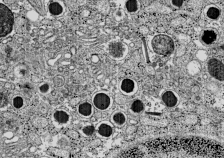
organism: C57BL Mouse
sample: Pancreatic islet